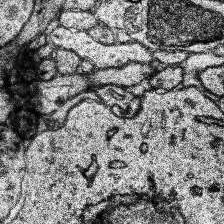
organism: Human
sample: Temporal Lobe